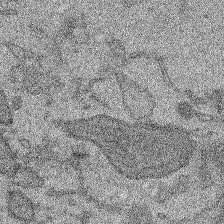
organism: Human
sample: HeLa cells